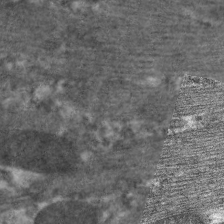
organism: C. elegans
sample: Pharynx